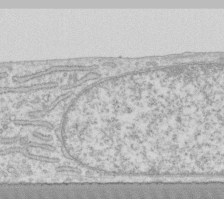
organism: Human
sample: Fibroblast cells